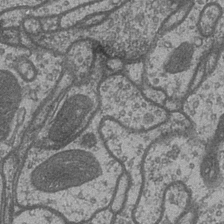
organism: Drosophila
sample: Optic medulla